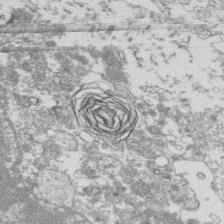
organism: Human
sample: HeLa cell HIV synapse